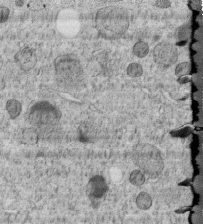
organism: C. elegans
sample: C. elegans embryo early stage